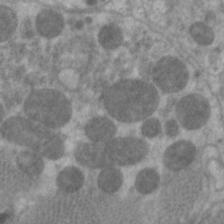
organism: C. elegans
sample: Pharynx